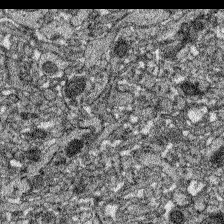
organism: Zebrafish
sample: Larval olfactory bulb